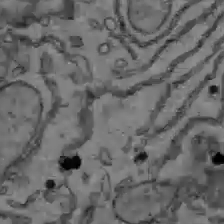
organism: C57BL Mouse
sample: Liver